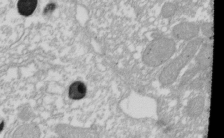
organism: Xenopus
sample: Cilia; centrioles in frog embryo cells